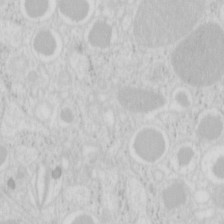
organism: Mouse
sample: Pancreas